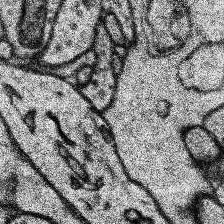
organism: Human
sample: Temporal Lobe